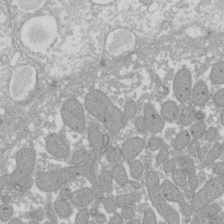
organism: Xenopus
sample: Cilia; centrioles in frog embryo cells